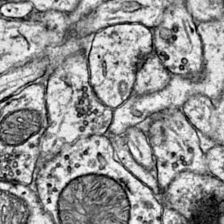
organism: Mouse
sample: Primary visual cortex